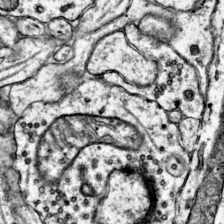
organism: Mouse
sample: Primary visual cortex